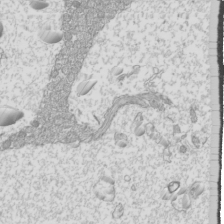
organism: Mouse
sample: Cilia; mouse epididymis